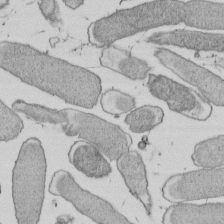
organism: E. coli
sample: Bacterial nucleoid